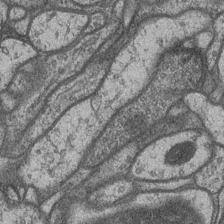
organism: Drosophila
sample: Optic medulla